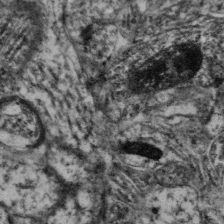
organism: Mouse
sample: Neocortex